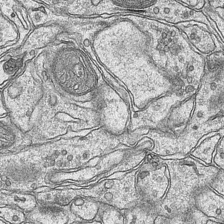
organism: Mouse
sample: CA1 Hippocampus